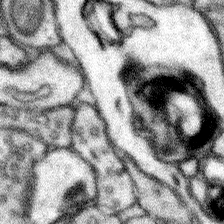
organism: Mouse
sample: Somatosensory cortex neuropil